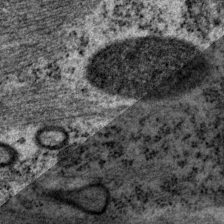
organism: P. pacificus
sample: Pharynx